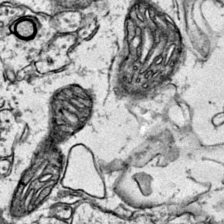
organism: Mouse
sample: Primary visual cortex